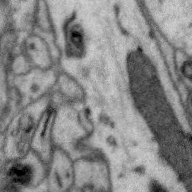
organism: Zebra finch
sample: Brain